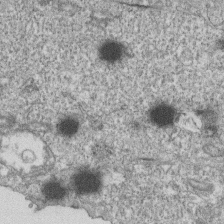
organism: Human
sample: HeLa cell HIV synapse